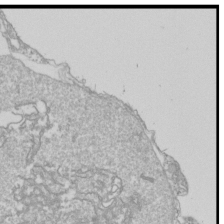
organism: Drosophila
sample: Cell division; meiosis; drosophila spermatocytes